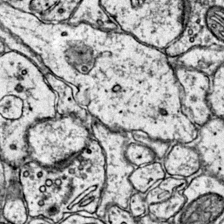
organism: Mouse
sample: Primary visual cortex